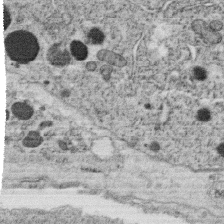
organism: C. elegans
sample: C. elegans oocyte; sperm cells